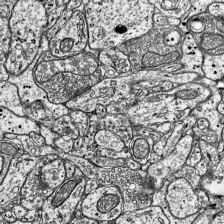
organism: Mouse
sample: Visual Cortex